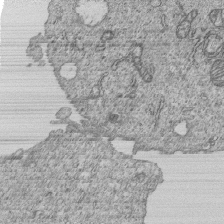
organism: Human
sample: MDA-MB-231 cells